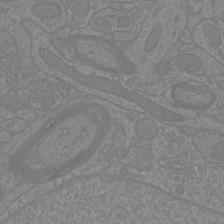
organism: Mouse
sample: Cortical neurons